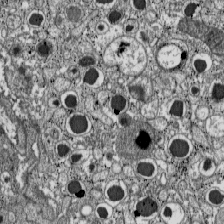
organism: C57BL Mouse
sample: Pancreatic islet